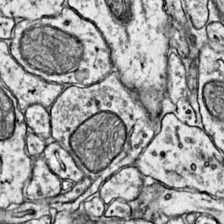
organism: Mouse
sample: Primary visual cortex